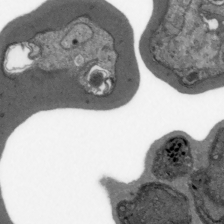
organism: Plasmodium falciparum